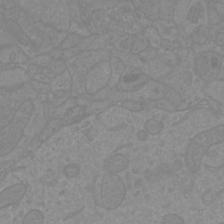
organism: Mouse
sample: Cortical neurons